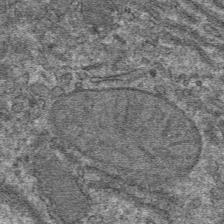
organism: Mouse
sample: Mouse hepatocytes